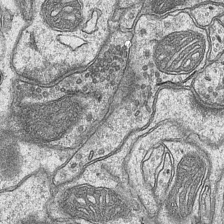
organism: Mouse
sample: CA1 Hippocampus